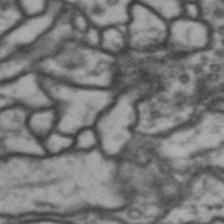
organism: Drosophila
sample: Brain